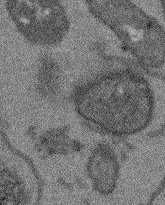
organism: Arabidopsis thaliana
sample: Root tip